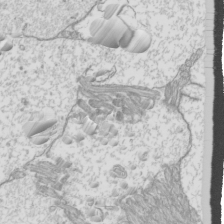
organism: Mouse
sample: Cilia; mouse epididymis